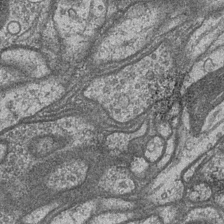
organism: Drosophila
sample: Optic medulla